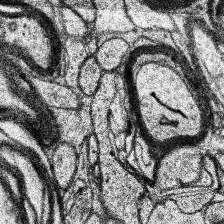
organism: Human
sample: Temporal Lobe